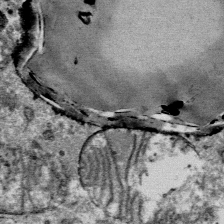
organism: Mouse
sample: Mouse Salivary gland